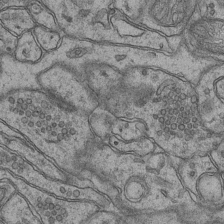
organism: Mouse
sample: CA1 Hippocampus